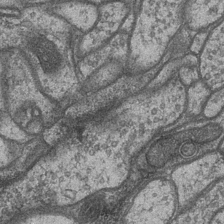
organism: Drosophila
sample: Optic medulla